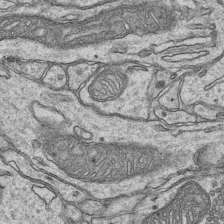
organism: Mouse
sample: CA1 Hippocampus